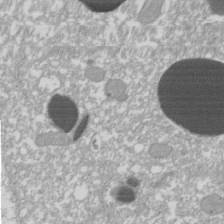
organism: Xenopus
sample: Cilia; centrioles in frog embryo cells